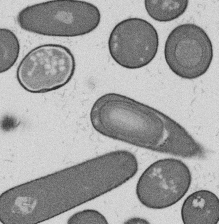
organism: B. subtilis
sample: Bacterial spore